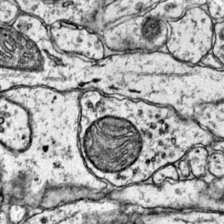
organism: Mouse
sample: Primary visual cortex